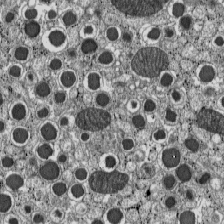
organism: C57BL Mouse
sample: Pancreatic islet